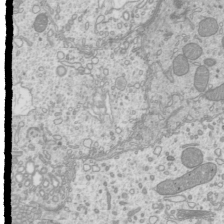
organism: Mouse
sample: Cilia; mouse epididymis